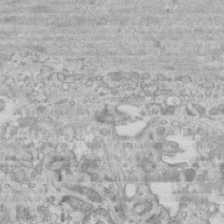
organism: Mouse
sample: Centriole in ependymal cells